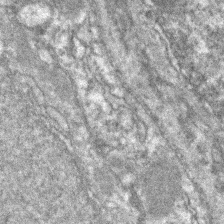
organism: Zebrafish